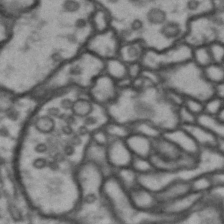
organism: Drosophila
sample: Brain